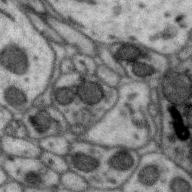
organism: Zebra finch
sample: Brain